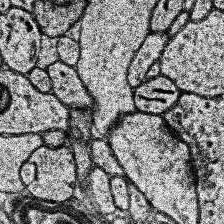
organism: Human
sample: Temporal Lobe